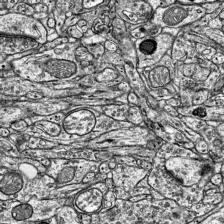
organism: Mouse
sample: Visual Cortex